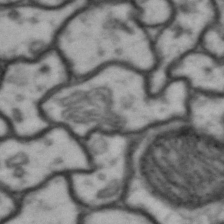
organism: Drosophila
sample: Brain